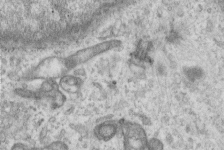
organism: Human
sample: Centriole in RPE cells